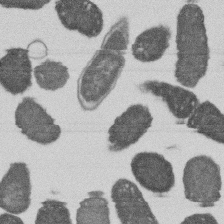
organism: E. coli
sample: Bacterial nucleoid